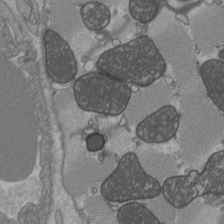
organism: C57BL Mouse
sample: Heart